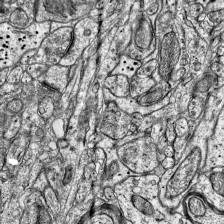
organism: Mouse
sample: Visual Cortex